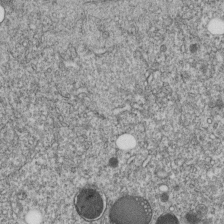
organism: C. elegans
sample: C. elegans embryo early stage